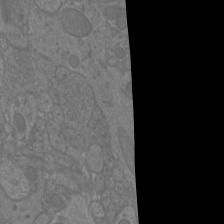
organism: Mouse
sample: Cortical neurons